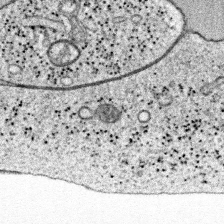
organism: Human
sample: HeLa cells